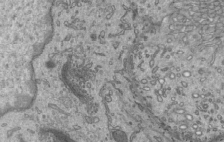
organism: Mouse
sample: Mouse epididymis efferent ductule cilia